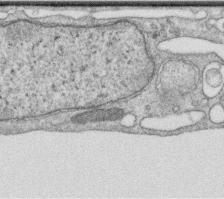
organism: Human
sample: Centriole in RPE cells